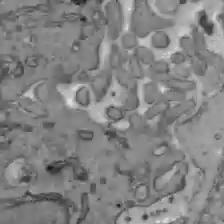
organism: C57BL Mouse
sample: Liver